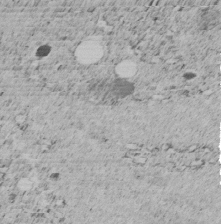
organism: C. elegans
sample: C. elegans embryo early stage